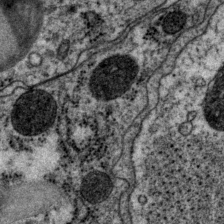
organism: P. pacificus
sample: Pharynx